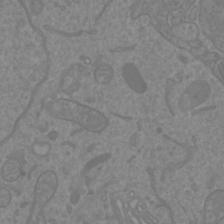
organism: Mouse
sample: Cortical neurons